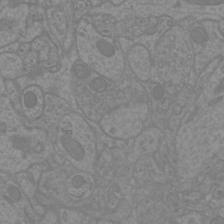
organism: Mouse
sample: Cortical neurons